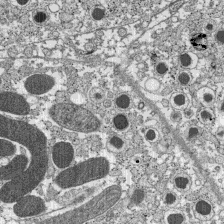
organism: C57BL Mouse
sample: Pancreatic islet